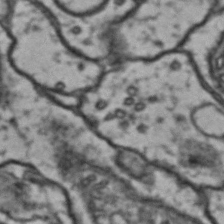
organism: Drosophila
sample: Brain